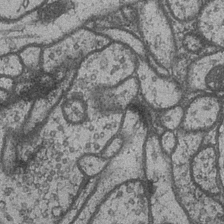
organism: Drosophila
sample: Optic medulla